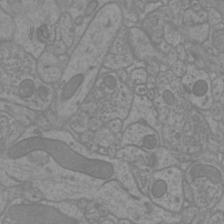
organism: Mouse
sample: Cortical neurons